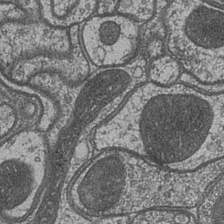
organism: Drosophila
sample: Optic medulla